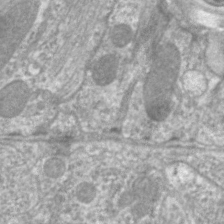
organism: C. elegans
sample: Pharynx